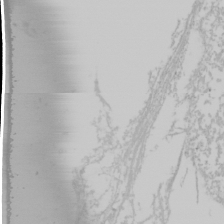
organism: Mouse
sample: Cancer cell death in ED-1 cells